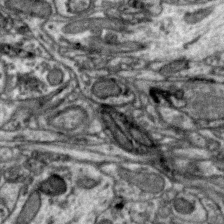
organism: Zebra finch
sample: Brain